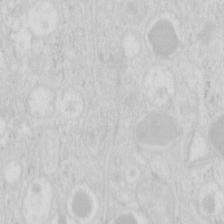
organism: Mouse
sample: Pancreas